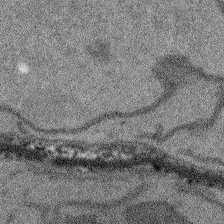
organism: Arabidopsis thaliana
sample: Root tip